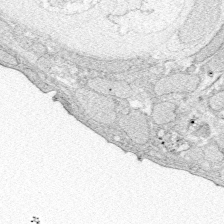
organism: Zebrafish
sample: Whole-Brain